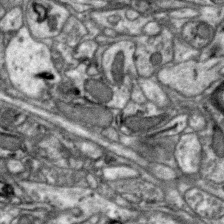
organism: Zebra finch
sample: Brain